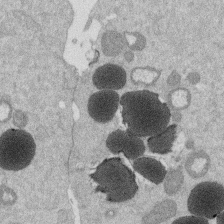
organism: Mouse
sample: Dividing mouse embryo 1 cell stage